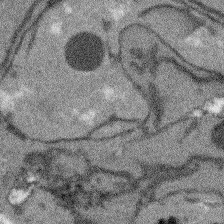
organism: Arabidopsis thaliana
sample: Root tip